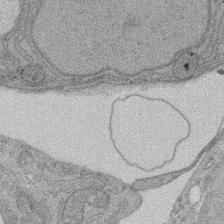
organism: Rat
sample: Salivary granule